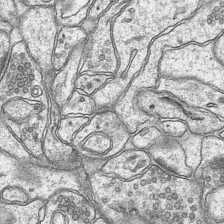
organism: Mouse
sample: CA1 Hippocampus